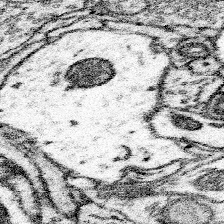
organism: Mouse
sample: Somatosensory cortex neuropil